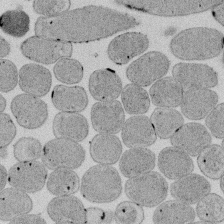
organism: E. coli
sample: Bacterial nucleoid